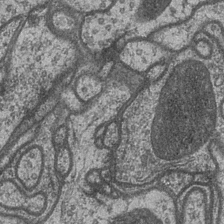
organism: Drosophila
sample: Optic medulla